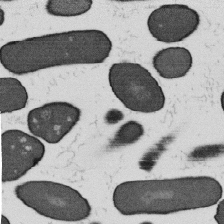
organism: B. subtilis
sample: Bacterial spore